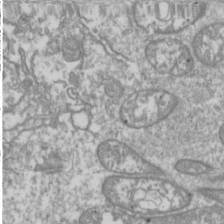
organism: Drosophila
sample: Cell division; meiosis; drosophila spermatocytes